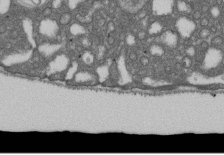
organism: Drosophila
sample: Nephrocyte